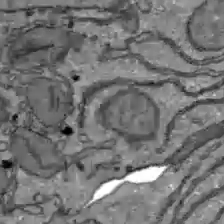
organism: C57BL Mouse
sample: Liver